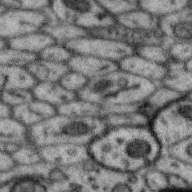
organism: Zebra finch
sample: Brain